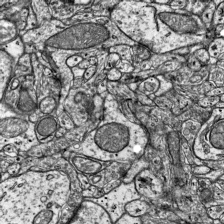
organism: Mouse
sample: Visual Cortex